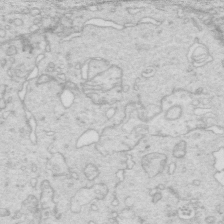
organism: Mouse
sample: Multiciliated cells